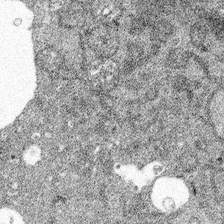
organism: Spongilla lacustris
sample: Multiple